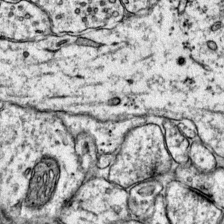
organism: Mouse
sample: Primary visual cortex